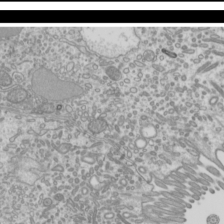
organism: Mouse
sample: Cilia; mouse epididymis